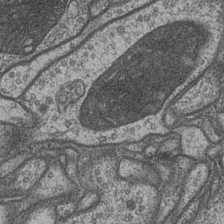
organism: Drosophila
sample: Optic medulla